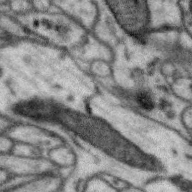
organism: Zebra finch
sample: Brain